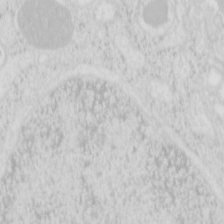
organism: Mouse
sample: Pancreas